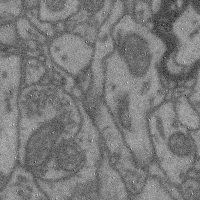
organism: Mouse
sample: Cerebral cortex